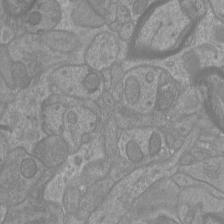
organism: Mouse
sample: Cortical neurons